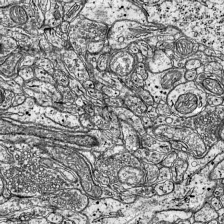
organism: Mouse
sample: Visual Cortex